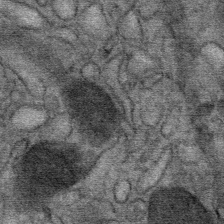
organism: Mouse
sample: Mouse Salivary gland